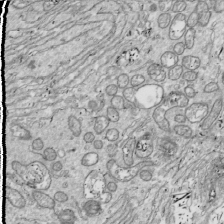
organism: Drosophila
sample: Cell division; meiosis; drosophila spermatocytes